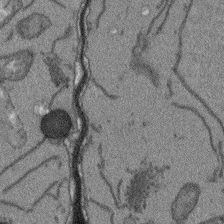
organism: Arabidopsis thaliana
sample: Root tip